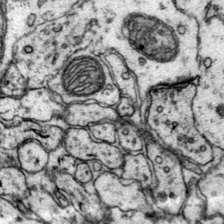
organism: Mouse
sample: Primary visual cortex